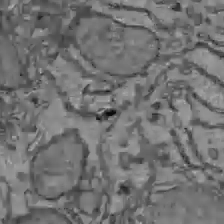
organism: C57BL Mouse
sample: Liver